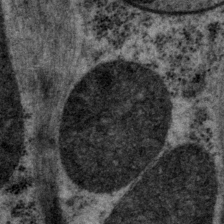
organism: P. pacificus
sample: Pharynx